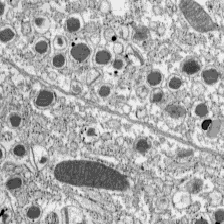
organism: C57BL Mouse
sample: Pancreatic islet